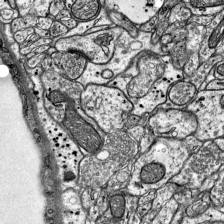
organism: Mouse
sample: Visual Cortex